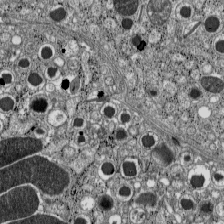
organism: C57BL Mouse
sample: Pancreatic islet